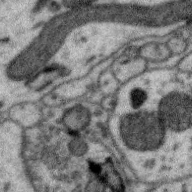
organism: Zebra finch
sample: Brain